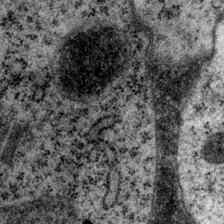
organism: P. pacificus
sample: Pharynx